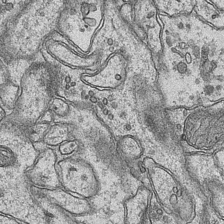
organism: Mouse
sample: CA1 Hippocampus